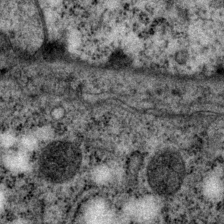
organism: P. pacificus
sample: Pharynx